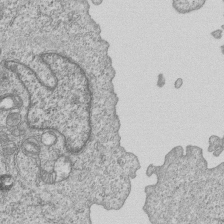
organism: Human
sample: MDA-MB-231 cells